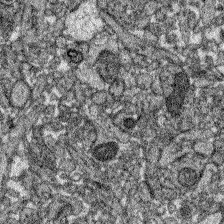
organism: Zebrafish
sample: Larval olfactory bulb